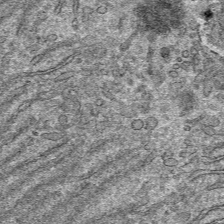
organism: Mouse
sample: Mouse hepatocytes